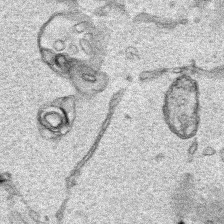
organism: Human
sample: Mitochondria in HCT116 cells